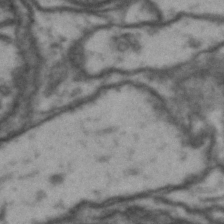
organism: Drosophila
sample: Brain